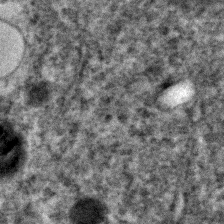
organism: C. elegans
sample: C. elegans embryo